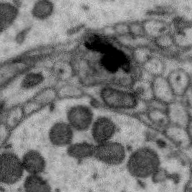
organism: Zebra finch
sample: Brain